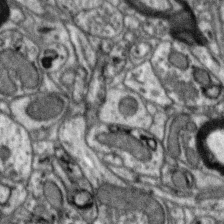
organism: Zebra finch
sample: Brain